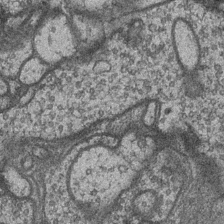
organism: Drosophila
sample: Optic medulla